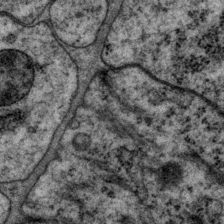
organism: P. pacificus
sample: Pharynx